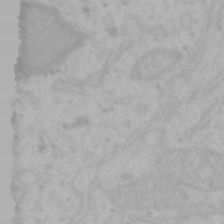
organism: Mouse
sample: Choroid plexus